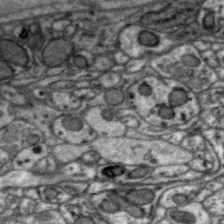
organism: Zebra finch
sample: Brain